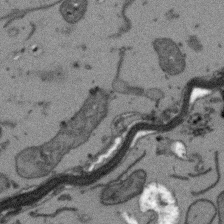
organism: Arabidopsis thaliana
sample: Root tip